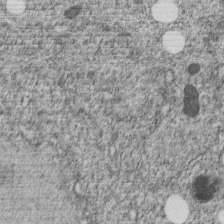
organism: C. elegans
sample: C. elegans embryo early stage